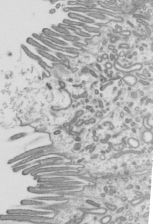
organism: Mouse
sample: Mouse epididymis efferent ductule cilia